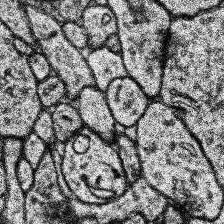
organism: Human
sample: Temporal Lobe